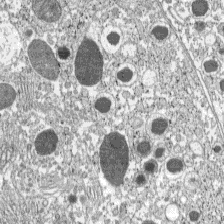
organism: C57BL Mouse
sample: Pancreatic islet